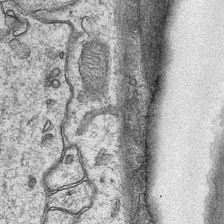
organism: Mouse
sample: CA1 Hippocampus